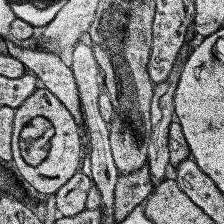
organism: Human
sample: Temporal Lobe